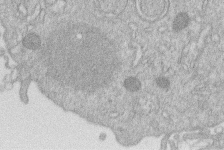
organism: Human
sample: Macrophage cells